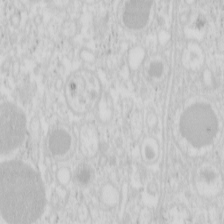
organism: Mouse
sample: Pancreas